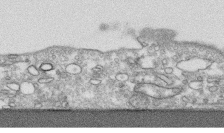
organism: Human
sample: CRL-1474